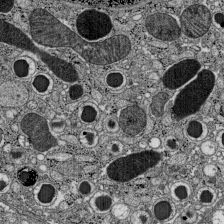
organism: C57BL Mouse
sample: Pancreatic islet